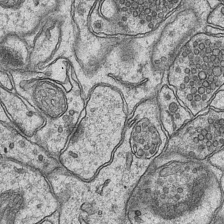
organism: Mouse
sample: CA1 Hippocampus